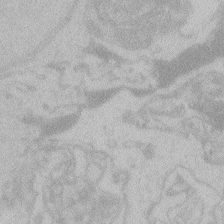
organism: Zebrafish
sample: Macrophage infected with Toxoplasma gondii